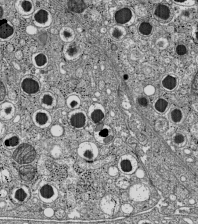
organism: C57BL Mouse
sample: Pancreatic islet